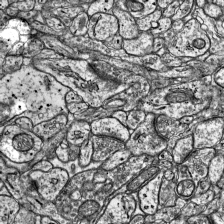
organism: Mouse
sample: Visual Cortex